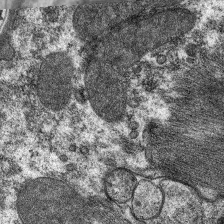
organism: C. elegans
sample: Pharynx